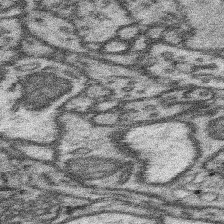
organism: Mouse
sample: Somatosensory cortex neuropil